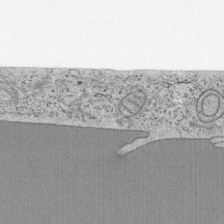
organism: Human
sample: HeLa cells